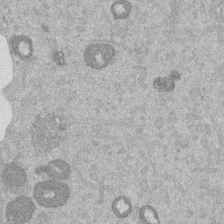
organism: Mouse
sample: Dividing mouse embryo 1 cell stage